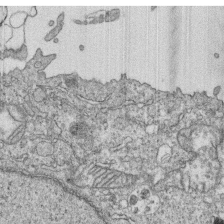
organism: Human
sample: HeLa cell HIV synapse